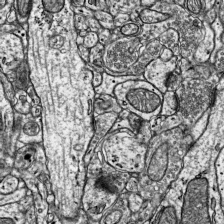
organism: Mouse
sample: Visual Cortex